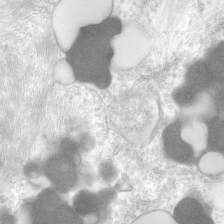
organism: Human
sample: Neocortex